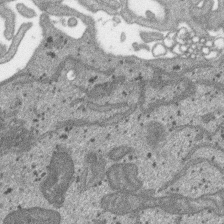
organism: Human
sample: Lung epithelial cells infected with SARS-CoV-2